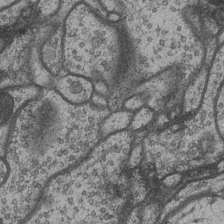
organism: Drosophila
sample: Optic medulla